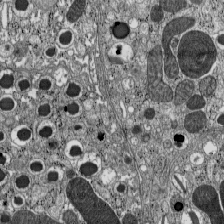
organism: C57BL Mouse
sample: Pancreatic islet